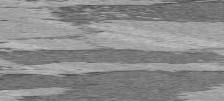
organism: C57BL Mouse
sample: Heart